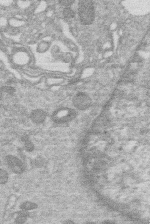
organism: Human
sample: Macrophage cells